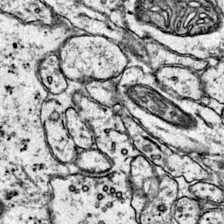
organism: Mouse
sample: Primary visual cortex